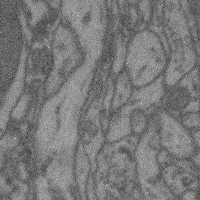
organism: Mouse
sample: Cerebral cortex